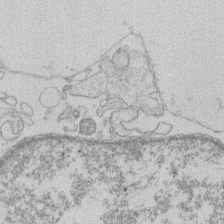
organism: Human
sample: Macrophage cells